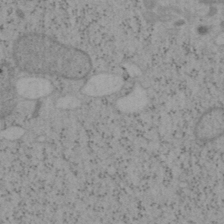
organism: Mouse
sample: OT-I killer T cells with ID8 ovarian cancer cells